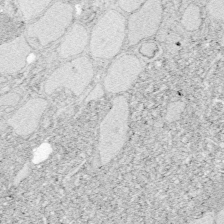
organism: Zebrafish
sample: Whole-Brain